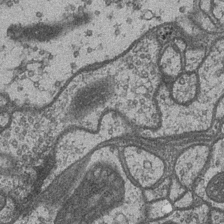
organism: Drosophila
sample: Optic medulla